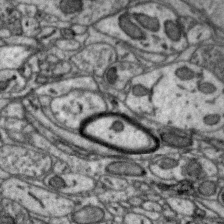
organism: Zebra finch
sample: Brain